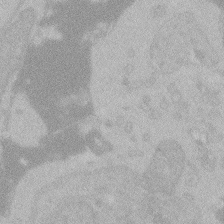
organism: Zebrafish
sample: Macrophage infected with Toxoplasma gondii